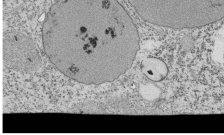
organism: Tetrahymena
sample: Cilia in tetrahymena